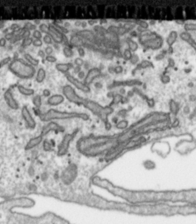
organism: Toxoplasma gondii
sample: Parasites in a vacuole inside a host cell